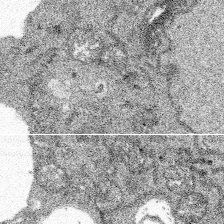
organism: Spongilla lacustris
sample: Multiple